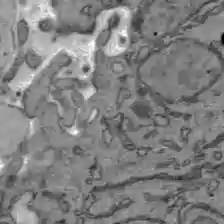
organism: C57BL Mouse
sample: Liver